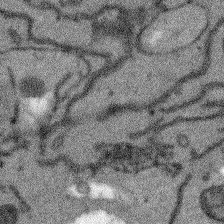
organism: Arabidopsis thaliana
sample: Root tip